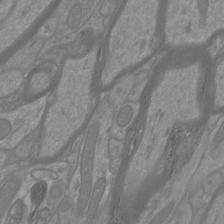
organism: Mouse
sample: Cortical neurons